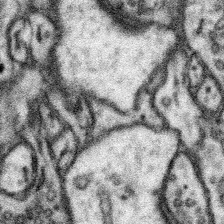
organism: Mouse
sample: Somatosensory cortex neuropil